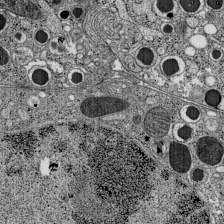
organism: C57BL Mouse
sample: Pancreatic islet